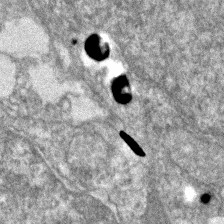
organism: Zebrafish